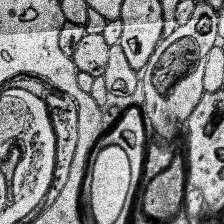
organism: Human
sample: Temporal Lobe